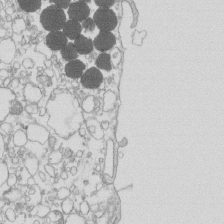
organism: Mouse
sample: Macrophages